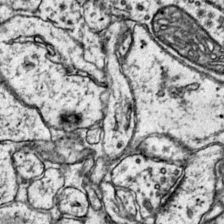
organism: Mouse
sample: Primary visual cortex